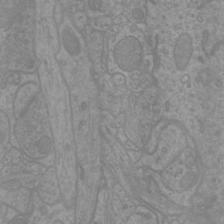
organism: Mouse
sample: Cortical neurons